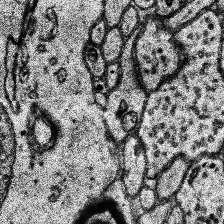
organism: Human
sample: Temporal Lobe